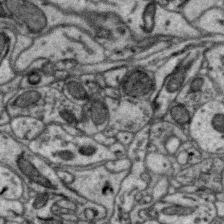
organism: Zebra finch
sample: Brain